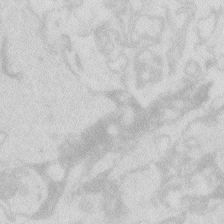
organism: Zebrafish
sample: Macrophage